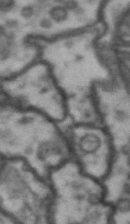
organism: Drosophila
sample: Brain